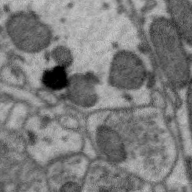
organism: Zebra finch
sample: Brain